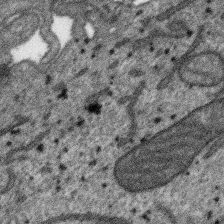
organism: Human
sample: Lung epithelial cells infected with SARS-CoV-2